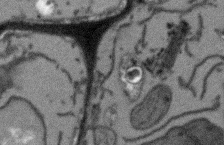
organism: Arabidopsis thaliana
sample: Root tip